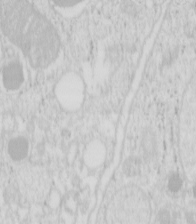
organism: Mouse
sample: Pancreas